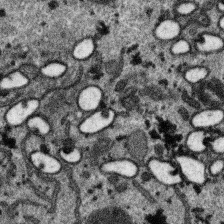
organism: Human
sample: Lung epithelial cells infected with SARS-CoV-2